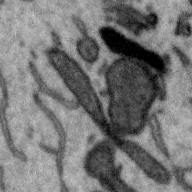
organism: Zebra finch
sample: Brain